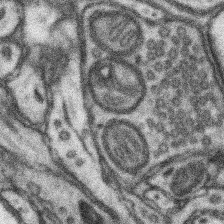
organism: Mouse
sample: Somatosensory cortex neuropil